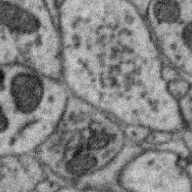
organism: Zebra finch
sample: Brain